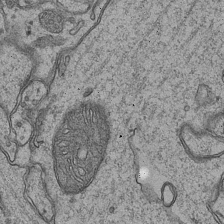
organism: Mouse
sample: CA1 Hippocampus